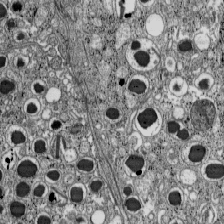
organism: C57BL Mouse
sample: Pancreatic islet